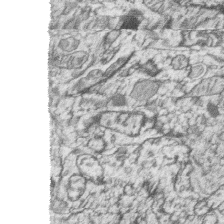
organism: Zebrafish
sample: synaptic ribbons in rod cells and cone cells